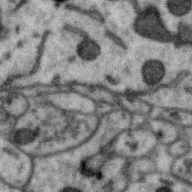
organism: Zebra finch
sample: Brain